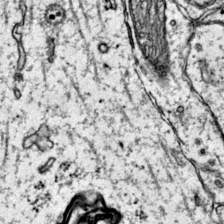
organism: Mouse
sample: Primary visual cortex